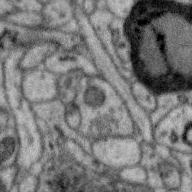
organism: Zebra finch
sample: Brain